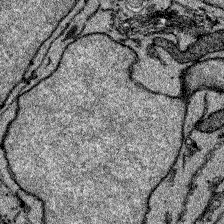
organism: Zebrafish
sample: Larval olfactory bulb